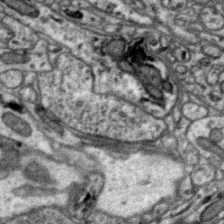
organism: Zebra finch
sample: Brain